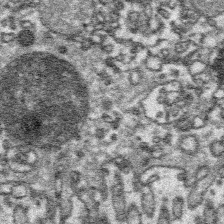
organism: Platynereis dumerilii